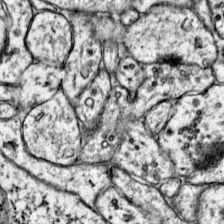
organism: Mouse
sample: Primary visual cortex